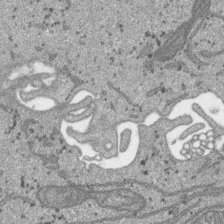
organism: Human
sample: Lung epithelial cells infected with SARS-CoV-2